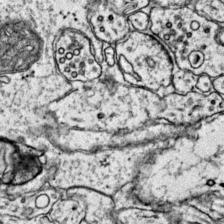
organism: Mouse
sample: Primary visual cortex